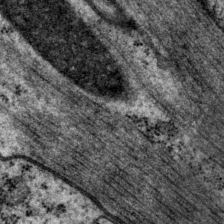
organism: P. pacificus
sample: Pharynx